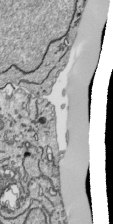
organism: Human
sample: Mitochondria in HCT116 cells